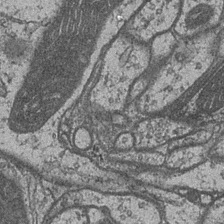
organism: Drosophila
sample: Optic medulla